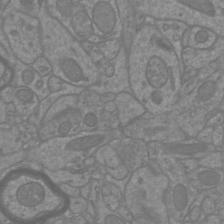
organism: Mouse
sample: Cortical neurons